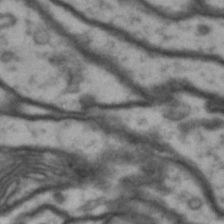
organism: Drosophila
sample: Brain